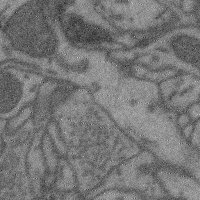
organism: Mouse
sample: Cerebral cortex